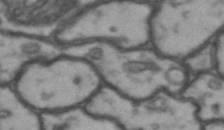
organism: Drosophila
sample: Brain